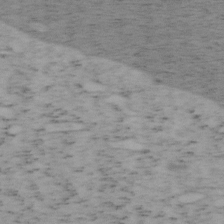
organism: Mouse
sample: OT-I killer T cells with ID8 ovarian cancer cells